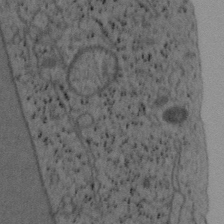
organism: Human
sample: HeLa cells